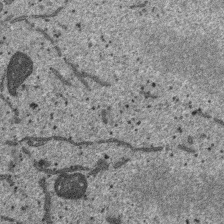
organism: Human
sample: Lung epithelial cells infected with SARS-CoV-2